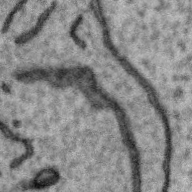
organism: Zebra finch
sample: Brain